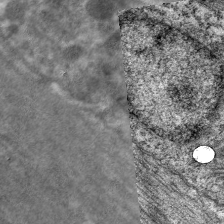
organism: C. elegans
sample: Pharynx